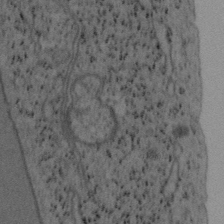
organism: Human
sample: HeLa cells